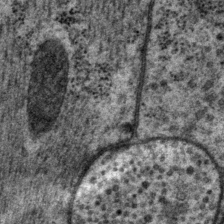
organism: P. pacificus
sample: Pharynx